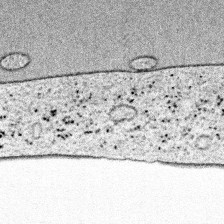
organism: Human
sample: HeLa cells